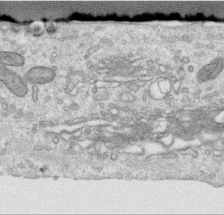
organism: Human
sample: Centriole in RPE cells